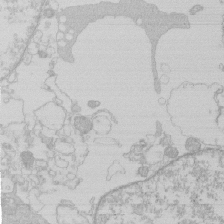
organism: Human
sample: Macrophage cells